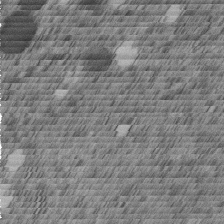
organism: C. elegans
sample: C. elegans embryo early stage